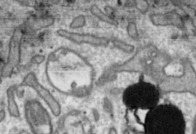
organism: Toxoplasma gondii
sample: Parasites in a vacuole inside a host cell